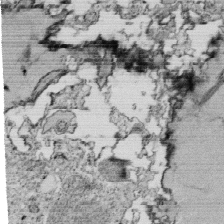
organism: Tetrahymena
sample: Cilia in tetrahymena